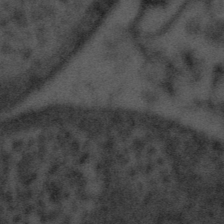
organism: Tuwongella immobilis